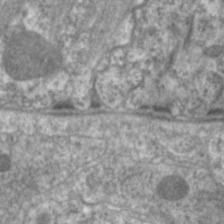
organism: C. elegans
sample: Pharynx